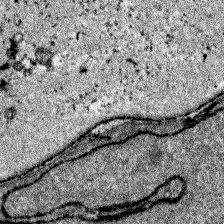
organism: Zebrafish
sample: Larval olfactory bulb